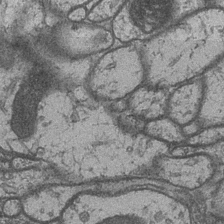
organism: Drosophila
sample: Optic medulla